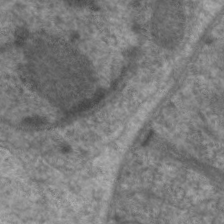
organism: C. elegans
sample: Pharynx